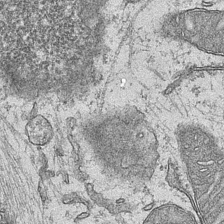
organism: Mouse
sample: CA1 Hippocampus